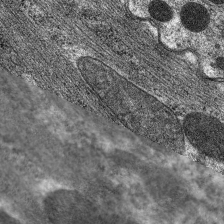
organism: C. elegans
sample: Pharynx